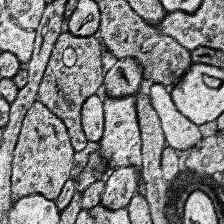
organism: Human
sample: Temporal Lobe